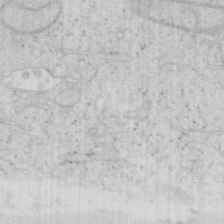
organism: Human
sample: HeLa cells